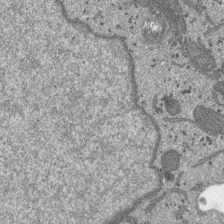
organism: Human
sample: Lung epithelial cells infected with SARS-CoV-2